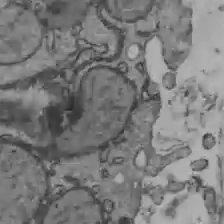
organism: C57BL Mouse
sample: Liver